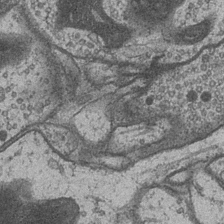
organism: Drosophila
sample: Optic medulla